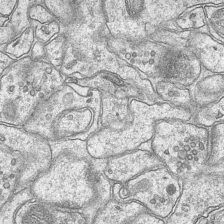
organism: Mouse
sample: CA1 Hippocampus